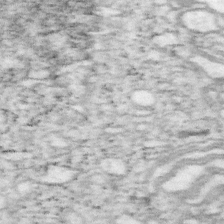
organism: Mouse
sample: OT-I killer T cells with ID8 ovarian cancer cells